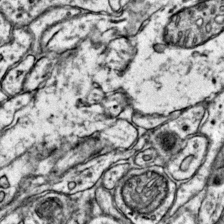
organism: Mouse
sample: Primary visual cortex